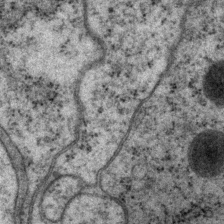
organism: P. pacificus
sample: Pharynx